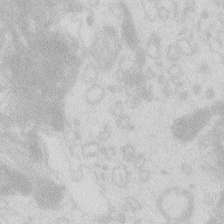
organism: Zebrafish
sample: Macrophage